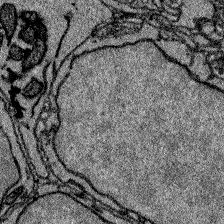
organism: Zebrafish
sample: Larval olfactory bulb